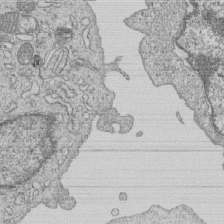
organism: Human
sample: MDA-MB-231 cells